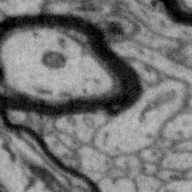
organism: Zebra finch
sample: Brain